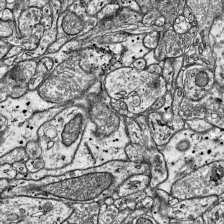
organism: Mouse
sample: Visual Cortex